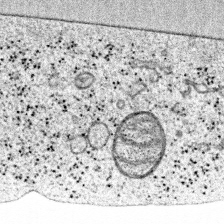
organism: Human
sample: HeLa cells